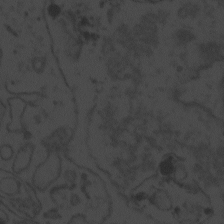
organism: Zebrafish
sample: Macrophage infected with Toxoplasma gondii